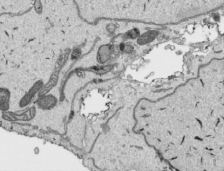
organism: Human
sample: Mitochondria in HCT116 cells